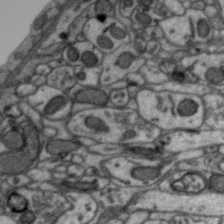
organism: Zebra finch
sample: Brain